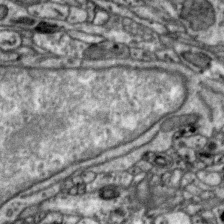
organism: Zebra finch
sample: Brain